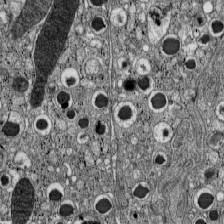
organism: C57BL Mouse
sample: Pancreatic islet